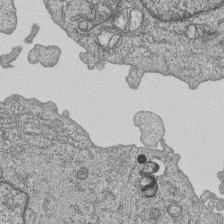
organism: Human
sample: MDA-MB-231 cells